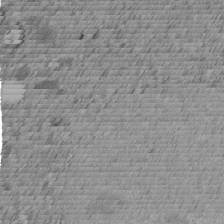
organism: C. elegans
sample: C. elegans embryo early stage